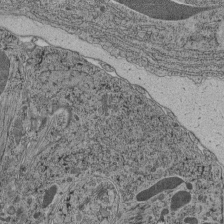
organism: C. elegans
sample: C. elegans pharynx